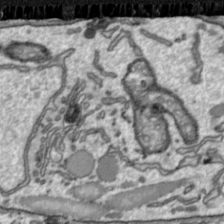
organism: Toxoplasma gondii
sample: Parasites in a vacuole inside a host cell